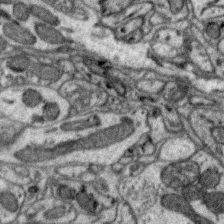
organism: Zebra finch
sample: Brain